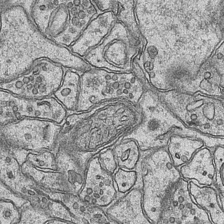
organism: Mouse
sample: CA1 Hippocampus